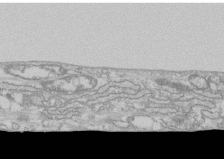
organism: Human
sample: CRL-1474